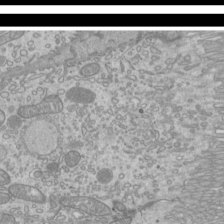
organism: Mouse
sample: Cilia; mouse epididymis